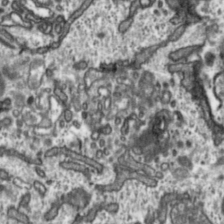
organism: Toxoplasma gondii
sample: Parasites in a vacuole inside a host cell